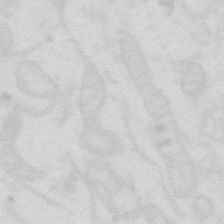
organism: Human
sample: HeLa cells